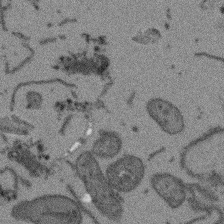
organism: Arabidopsis thaliana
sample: Root tip